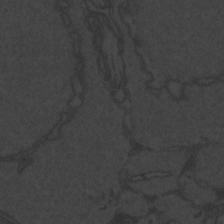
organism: Zebrafish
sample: Macrophage infected with Toxoplasma gondii